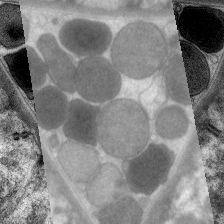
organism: C. elegans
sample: Pharynx